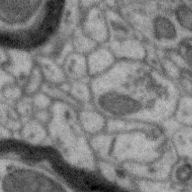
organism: Zebra finch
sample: Brain